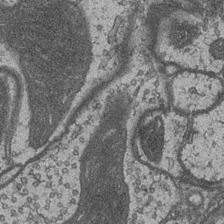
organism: Drosophila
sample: Optic medulla